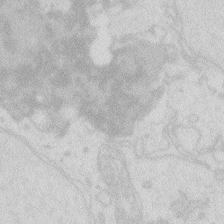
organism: Zebrafish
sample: Macrophage